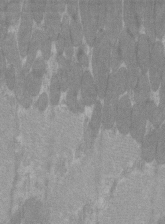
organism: C57BL Mouse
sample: Tibialis anterior muscle cell